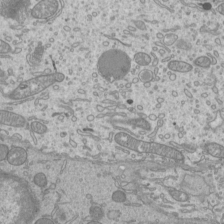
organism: Mouse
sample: Cilia; mouse epididymis